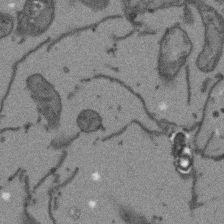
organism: Arabidopsis thaliana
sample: Root tip